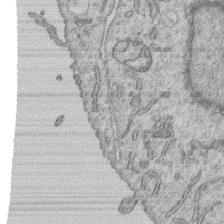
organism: Human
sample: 1205lu cells